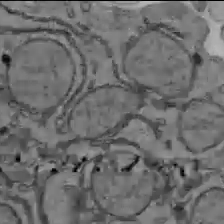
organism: C57BL Mouse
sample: Liver